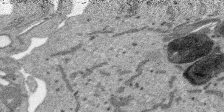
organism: Human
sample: Lung epithelial cells infected with SARS-CoV-2